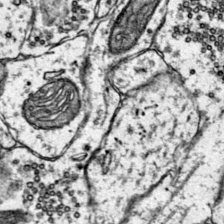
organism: Mouse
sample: Primary visual cortex